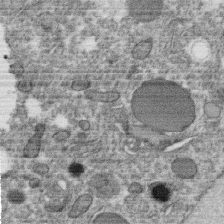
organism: C. elegans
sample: C. elegans oocyte; sperm cells